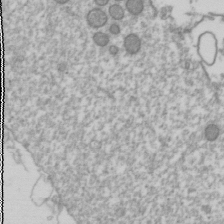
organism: Drosophila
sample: Cell division; meiosis; drosophila spermatocytes